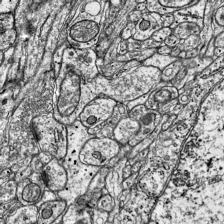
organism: Mouse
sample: Visual Cortex